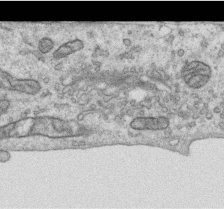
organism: Human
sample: Centriole in RPE cells